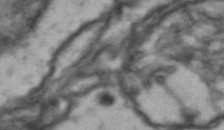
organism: Drosophila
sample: Brain